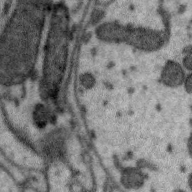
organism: Zebra finch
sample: Brain